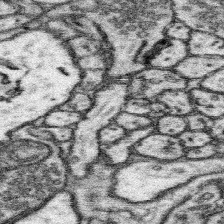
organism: Mouse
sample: Somatosensory cortex neuropil